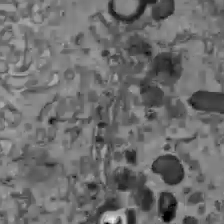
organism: C57BL Mouse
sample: Liver